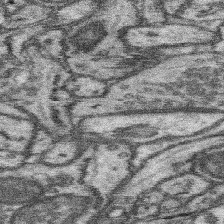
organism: Mouse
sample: Somatosensory cortex neuropil